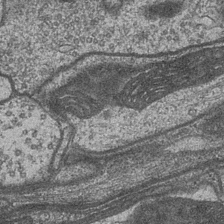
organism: Drosophila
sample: Optic medulla